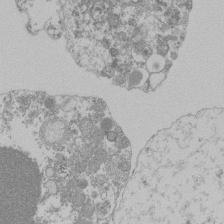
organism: Mouse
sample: Activated Pmel transgenic CD8+ T Cells